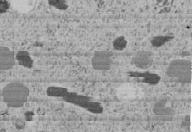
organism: C. elegans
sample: C. elegans embryo early stage